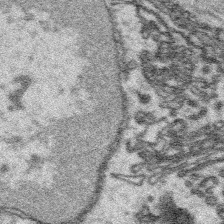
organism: Platynereis dumerilii